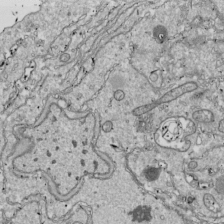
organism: Drosophila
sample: Cell division; meiosis; drosophila spermatocytes